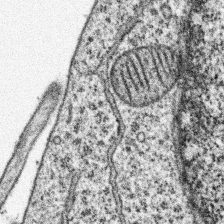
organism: Human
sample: HeLa cells